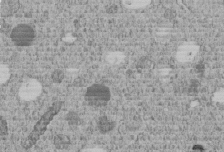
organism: C. elegans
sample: C. elegans embryo early stage